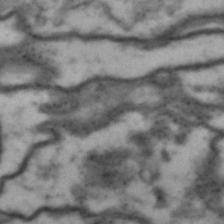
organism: Drosophila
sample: Brain